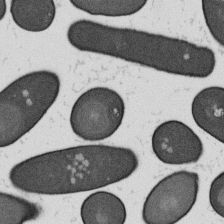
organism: B. subtilis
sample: Bacterial spore